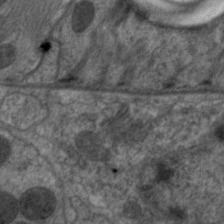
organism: C. elegans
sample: Pharynx